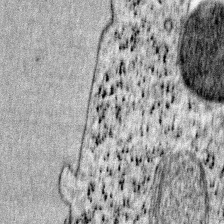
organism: Human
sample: HeLa cells